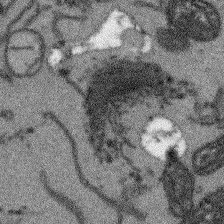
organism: Arabidopsis thaliana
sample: Root tip